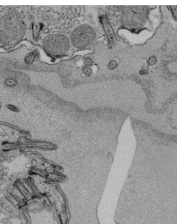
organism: Tetrahymena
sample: Cilia in tetrahymena